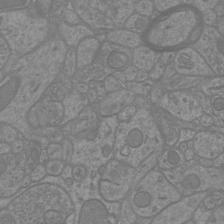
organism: Mouse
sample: Cortical neurons